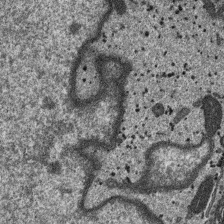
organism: Human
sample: Lung epithelial cells infected with SARS-CoV-2